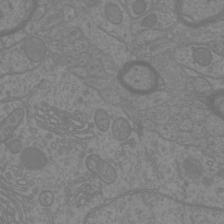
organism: Mouse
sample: Cortical neurons